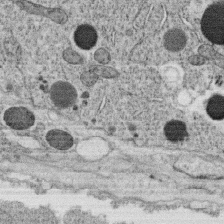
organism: C. elegans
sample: C. elegans oocyte; sperm cells